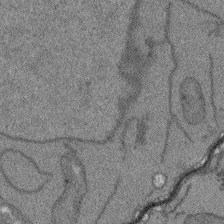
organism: Arabidopsis thaliana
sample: Root tip